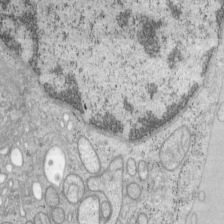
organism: Mouse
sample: OT-I killer T cells with ID8 ovarian cancer cells